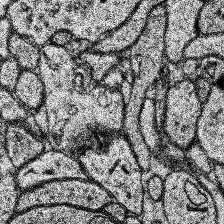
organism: Human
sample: Temporal Lobe